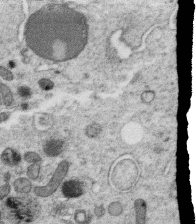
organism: C. elegans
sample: C. elegans oocyte; sperm cells